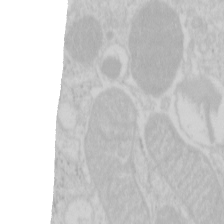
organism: Mouse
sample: Pancreas